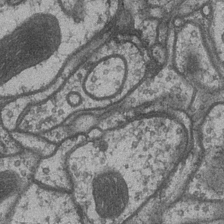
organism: Drosophila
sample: Optic medulla